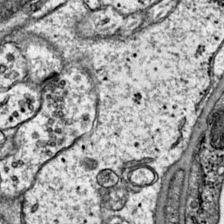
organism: Mouse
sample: Primary visual cortex